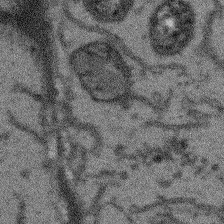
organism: Arabidopsis thaliana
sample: Root tip